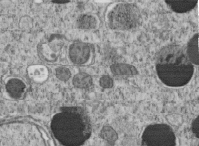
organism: C. elegans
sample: C. elegans embryo early stage